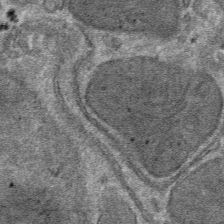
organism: Mouse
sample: Mouse hepatocytes